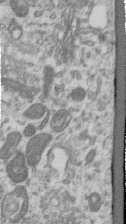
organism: Human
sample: Centriole in RPE cells